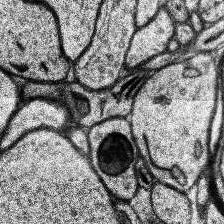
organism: Human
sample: Temporal Lobe